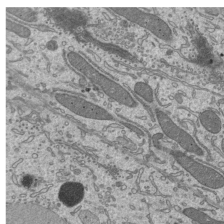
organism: Mouse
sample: Mouse epididymis efferent ductule cilia